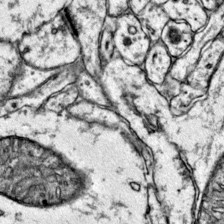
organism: Mouse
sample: Primary visual cortex